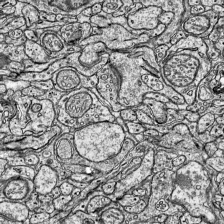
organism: Mouse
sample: Visual Cortex